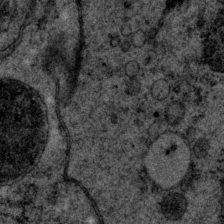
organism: P. pacificus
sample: Pharynx